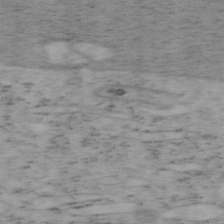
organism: Mouse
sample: OT-I killer T cells with ID8 ovarian cancer cells